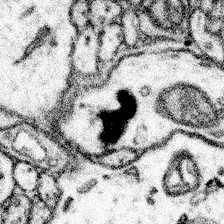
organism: Mouse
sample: Somatosensory cortex neuropil